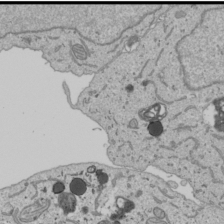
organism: Human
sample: Mitochondria in U2OS cells